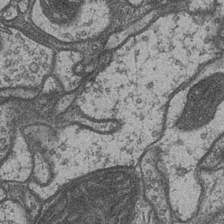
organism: Drosophila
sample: Optic medulla